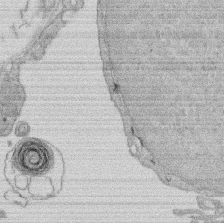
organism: Rat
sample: Salivary granule